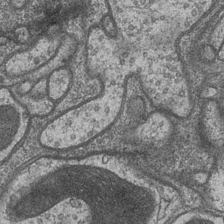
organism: Drosophila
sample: Optic medulla